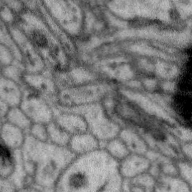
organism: Zebra finch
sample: Brain